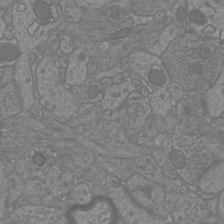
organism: Mouse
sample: Cortical neurons